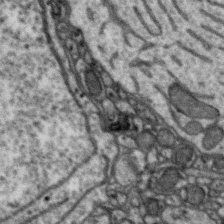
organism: Zebra finch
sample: Brain